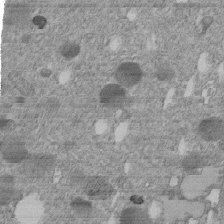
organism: C. elegans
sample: C. elegans embryo early stage